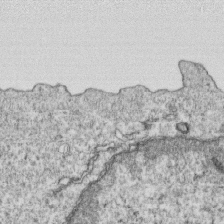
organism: Mouse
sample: Activated OT-1 CD8+ T cells